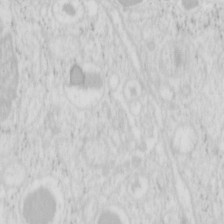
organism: Mouse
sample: Pancreas